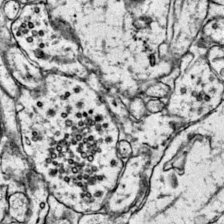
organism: Mouse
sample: Primary visual cortex